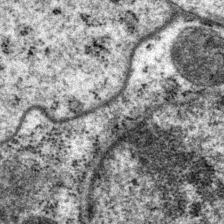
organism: P. pacificus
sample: Pharynx